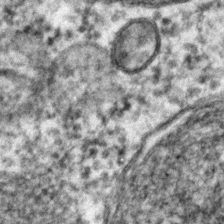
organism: C. elegans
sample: C. elegans embryo